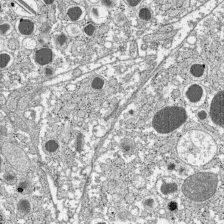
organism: C57BL Mouse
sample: Pancreatic islet